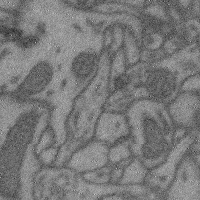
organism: Mouse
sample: Cerebral cortex